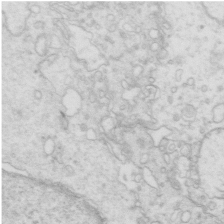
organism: Mouse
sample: Multiciliated cells